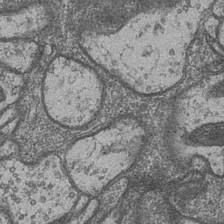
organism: Drosophila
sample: Optic medulla